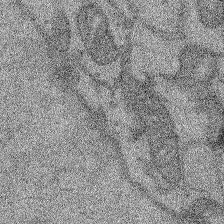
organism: Human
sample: HeLa cells